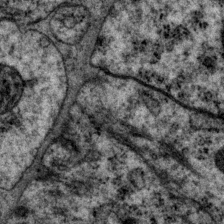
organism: P. pacificus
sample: Pharynx